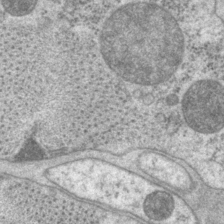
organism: P. pacificus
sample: Pharynx